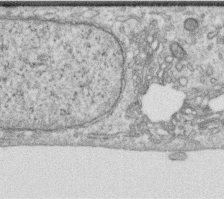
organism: Human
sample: Centriole in RPE cells